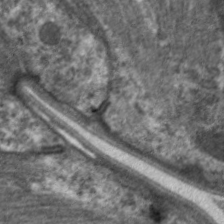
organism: C. elegans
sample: Pharynx